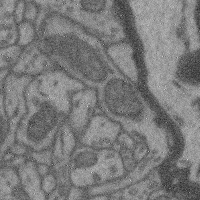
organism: Mouse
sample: Cerebral cortex